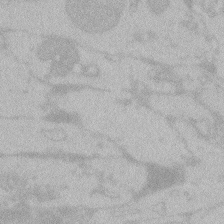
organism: Zebrafish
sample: Macrophage infected with Toxoplasma gondii